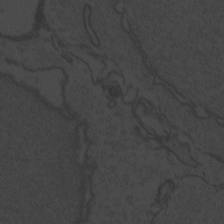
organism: Zebrafish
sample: Macrophage infected with Toxoplasma gondii